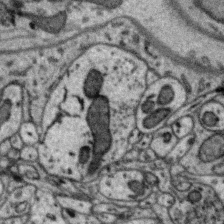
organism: Zebra finch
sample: Brain